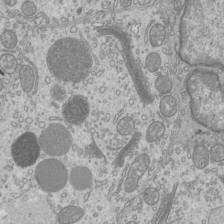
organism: Mouse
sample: Cilia; mouse epididymis